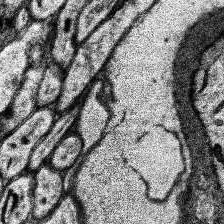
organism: Human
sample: Temporal Lobe